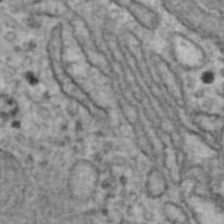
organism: Human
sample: Blood